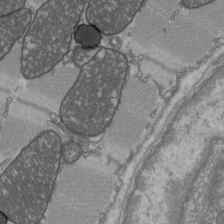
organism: C57BL Mouse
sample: Heart